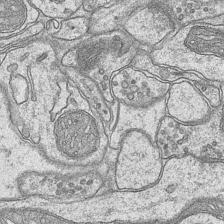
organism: Mouse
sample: CA1 Hippocampus